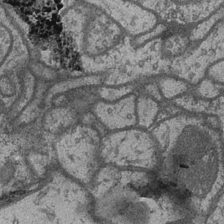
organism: Drosophila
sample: Optic medulla